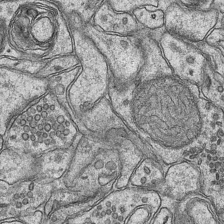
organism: Mouse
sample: CA1 Hippocampus